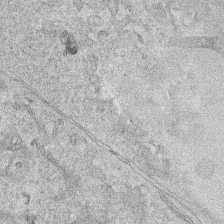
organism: Human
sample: Mitochondria in HCT116 cells